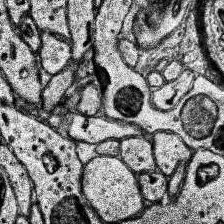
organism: Human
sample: Temporal Lobe